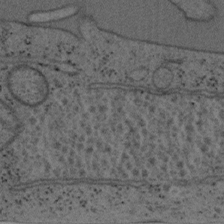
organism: Human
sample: HeLa cells